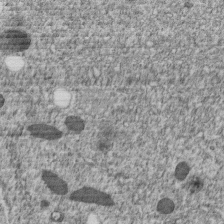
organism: C. elegans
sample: C. elegans embryo early stage